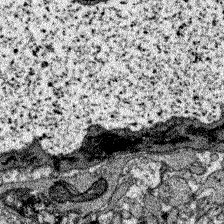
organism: Zebrafish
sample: Larval olfactory bulb